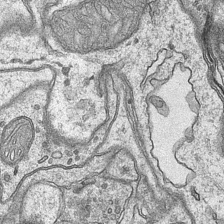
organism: Mouse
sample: CA1 Hippocampus